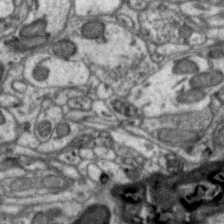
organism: Zebra finch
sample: Brain